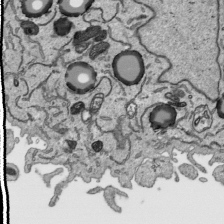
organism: Human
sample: Mitochondria in HCT116 cells